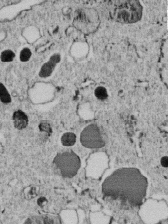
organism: C. elegans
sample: C. elegans embryo early stage